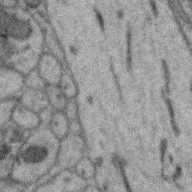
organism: Zebra finch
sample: Brain